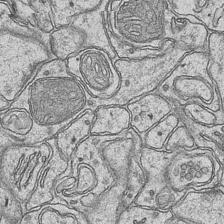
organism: Mouse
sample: CA1 Hippocampus